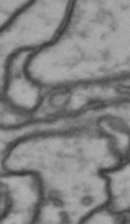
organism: Drosophila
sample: Brain